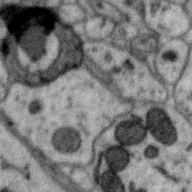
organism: Zebra finch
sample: Brain